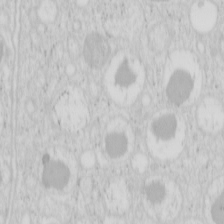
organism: Mouse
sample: Pancreas